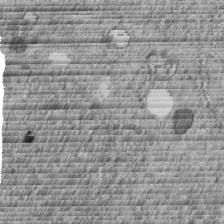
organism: C. elegans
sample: C. elegans embryo early stage